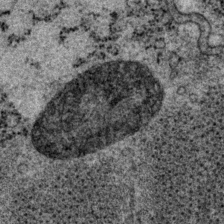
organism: P. pacificus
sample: Pharynx